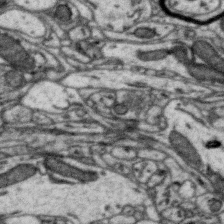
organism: Zebra finch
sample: Brain